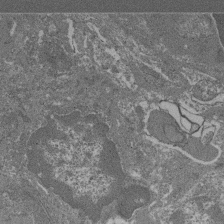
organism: Mouse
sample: Glomerulus